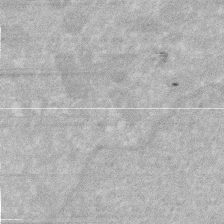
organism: Human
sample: HIV infected U937 cells